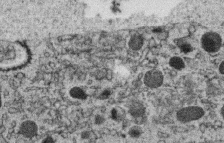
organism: C. elegans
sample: C. elegans oocyte; sperm cells